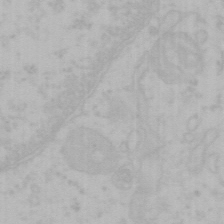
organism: Mouse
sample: Choroid plexus